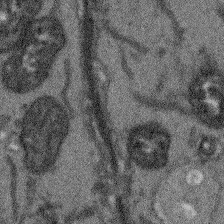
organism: Arabidopsis thaliana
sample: Root tip